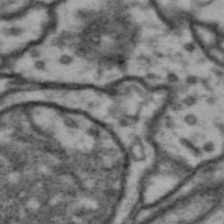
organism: Drosophila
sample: Brain